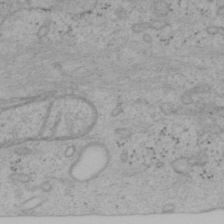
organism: Human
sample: HeLa cells